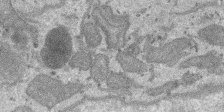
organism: Human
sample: Lung epithelial cells infected with SARS-CoV-2